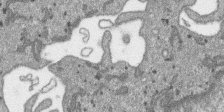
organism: Human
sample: Lung epithelial cells infected with SARS-CoV-2